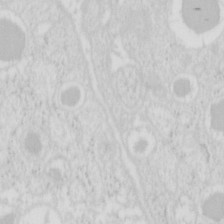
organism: Mouse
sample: Pancreas